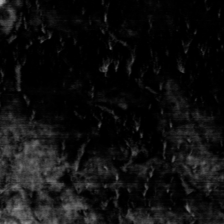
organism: Toxoplasma gondii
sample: Parasites in a vacuole inside a host cell